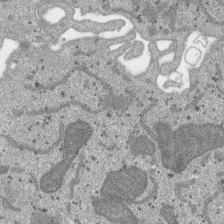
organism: Human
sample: Lung epithelial cells infected with SARS-CoV-2